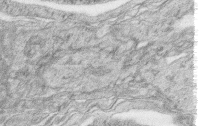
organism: Zebrafish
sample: synaptic ribbons in rod cells and cone cells